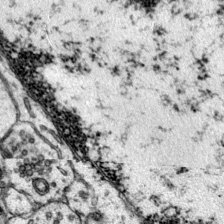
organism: Mouse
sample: Primary visual cortex